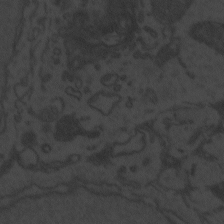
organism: Zebrafish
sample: Macrophage infected with Toxoplasma gondii